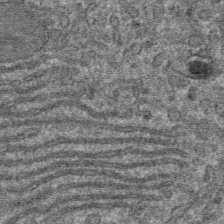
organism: Mouse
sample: Mouse hepatocytes